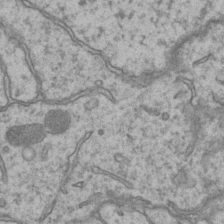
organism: Mouse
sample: CA1 Hippocampus